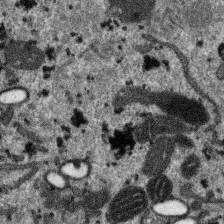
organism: Human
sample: Lung epithelial cells infected with SARS-CoV-2